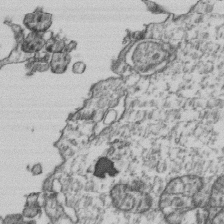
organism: Human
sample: Activated Jurkat CD4+ T cells